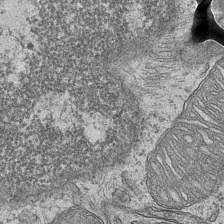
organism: Mouse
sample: CA1 Hippocampus